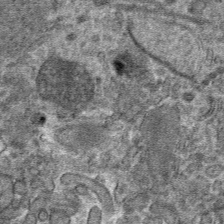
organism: Mouse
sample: Mouse hepatocytes